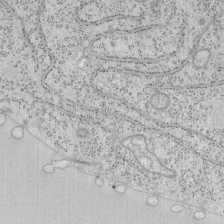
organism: Mouse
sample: OT-I killer T cells with ID8 ovarian cancer cells